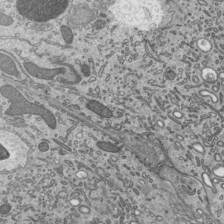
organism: Mouse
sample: Mouse epididymis efferent ductule cilia